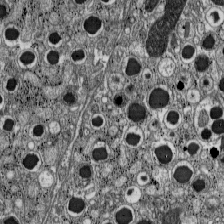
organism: C57BL Mouse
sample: Pancreatic islet